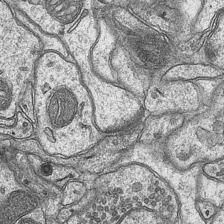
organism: Mouse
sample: CA1 Hippocampus